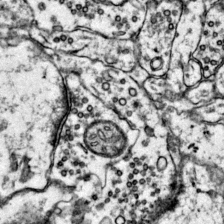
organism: Mouse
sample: Primary visual cortex